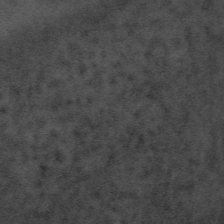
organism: Tuwongella immobilis